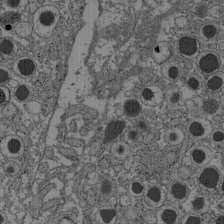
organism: C57BL Mouse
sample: Pancreatic islet